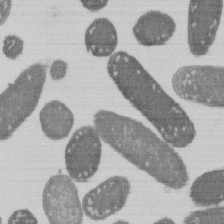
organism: E. coli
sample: Bacterial nucleoid